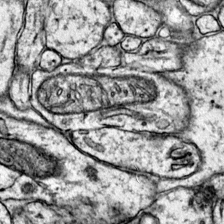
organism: Mouse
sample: Primary visual cortex